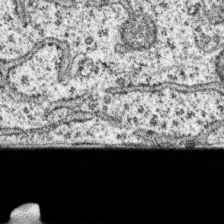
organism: Human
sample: HeLa cells